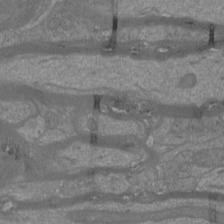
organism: Mouse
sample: Cortical neurons